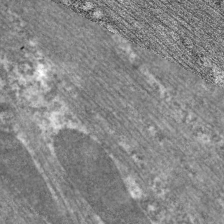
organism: C. elegans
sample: Pharynx